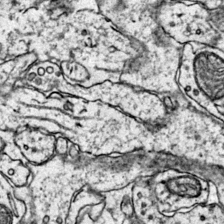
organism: Mouse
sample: Primary visual cortex